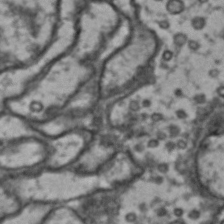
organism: Drosophila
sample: Brain